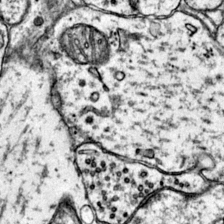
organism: Mouse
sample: Primary visual cortex